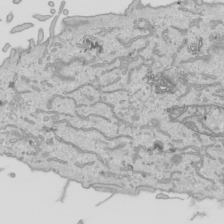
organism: Human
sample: Mitochondria in HCT116 cells